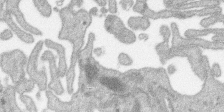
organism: Human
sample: Lung epithelial cells infected with SARS-CoV-2